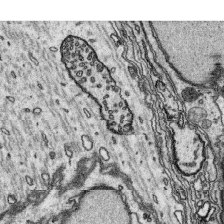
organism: Platynereis dumerilii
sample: Parapodia